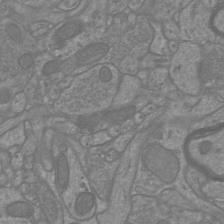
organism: Mouse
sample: Cortical neurons